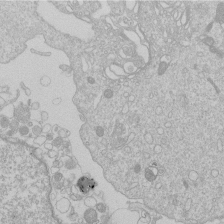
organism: Human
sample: Macrophage cells